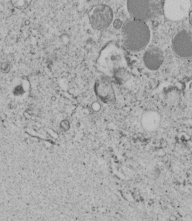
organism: C. elegans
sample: C. elegans embryo early stage